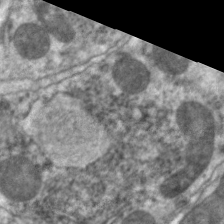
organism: C. elegans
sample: Pharynx